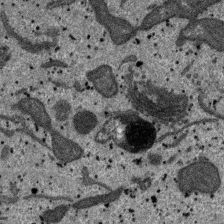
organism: Human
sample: Lung epithelial cells, uninfected (mock) control